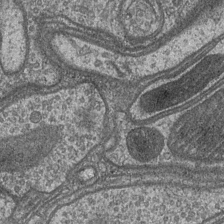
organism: Drosophila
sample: Optic medulla